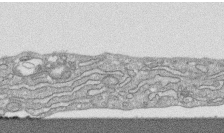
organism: Human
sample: CRL-1474